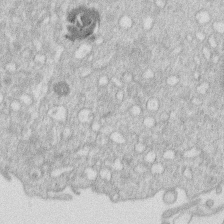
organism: Human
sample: Macrophage cells